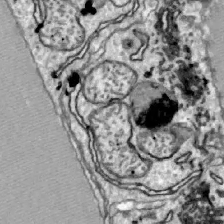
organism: Zebrafish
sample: Actinotrichia fibers